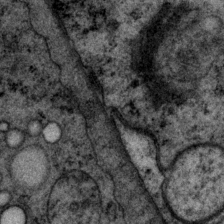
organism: P. pacificus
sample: Pharynx